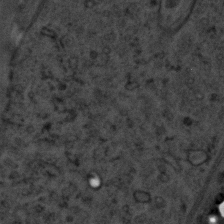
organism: C. elegans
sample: C. elegans embryo